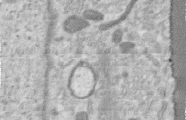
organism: Human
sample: Centriole in RPE cells